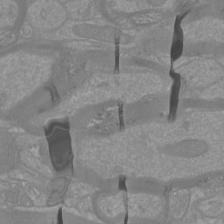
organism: Mouse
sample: Cortical neurons